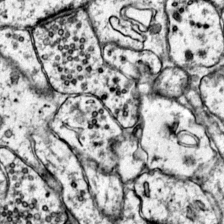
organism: Mouse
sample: Primary visual cortex